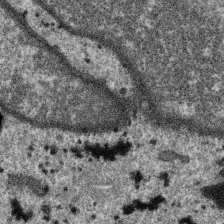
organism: Human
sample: Lung epithelial cells infected with SARS-CoV-2